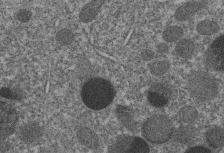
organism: C. elegans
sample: C. elegans embryo early stage